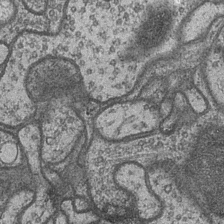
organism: Drosophila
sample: Optic medulla